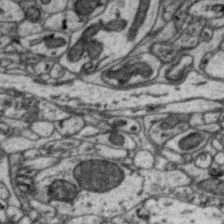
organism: Zebra finch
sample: Brain